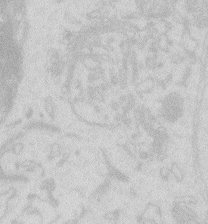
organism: Zebrafish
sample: Macrophage